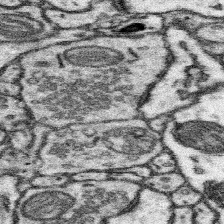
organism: Mouse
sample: Somatosensory cortex neuropil